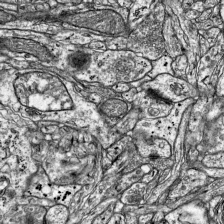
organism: Mouse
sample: Visual Cortex